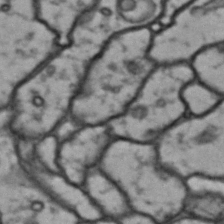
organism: Drosophila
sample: Brain